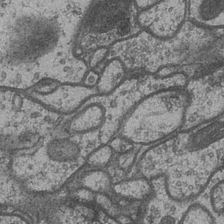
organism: Drosophila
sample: Optic medulla